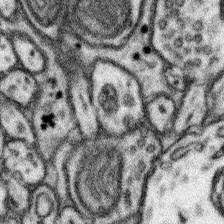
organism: Mouse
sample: Somatosensory cortex neuropil